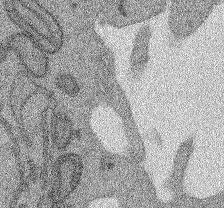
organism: Human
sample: HeLa cells